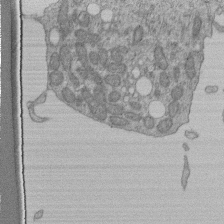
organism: Human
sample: Retinal organoid Rod and Cone cells